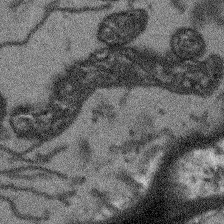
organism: Arabidopsis thaliana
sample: Root tip